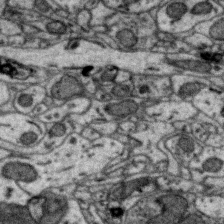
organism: Zebra finch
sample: Brain